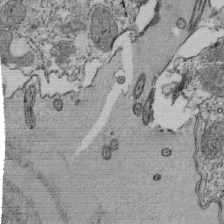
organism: Tetrahymena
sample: Cilia in tetrahymena